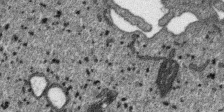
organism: Human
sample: Lung epithelial cells infected with SARS-CoV-2